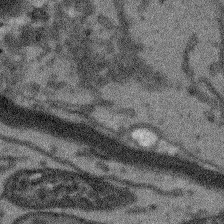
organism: Arabidopsis thaliana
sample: Root tip